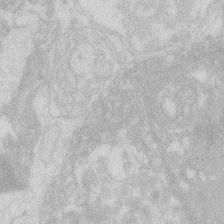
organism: Zebrafish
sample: Macrophage